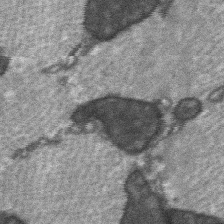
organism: C57BL Mouse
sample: Soleus